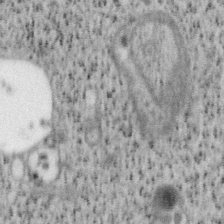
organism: Mouse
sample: OT-I killer T cells with ID8 ovarian cancer cells